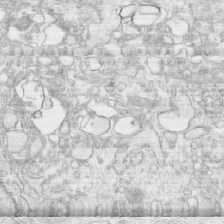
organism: Human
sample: CRL-1474